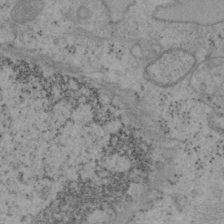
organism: Human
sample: HeLa cells